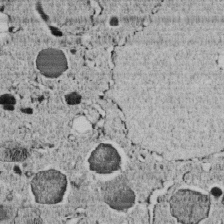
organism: C. elegans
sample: C. elegans embryo early stage